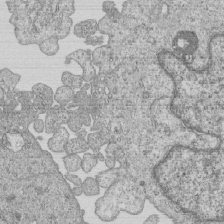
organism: Human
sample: MDA-MB-231 cells